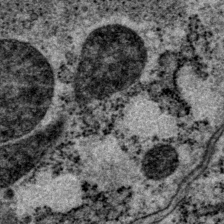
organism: P. pacificus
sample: Pharynx